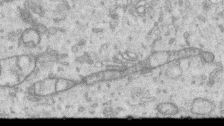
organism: Human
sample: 1205lu cells